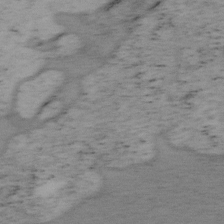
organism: Mouse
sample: OT-I killer T cells with ID8 ovarian cancer cells